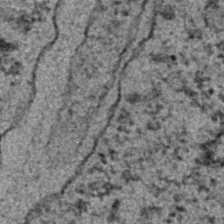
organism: C. elegans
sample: C. elegans embryo